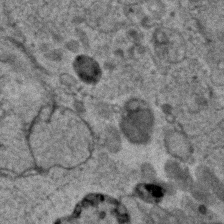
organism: Human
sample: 1205lu cells